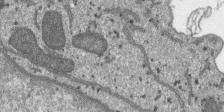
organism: Human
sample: Lung epithelial cells infected with SARS-CoV-2